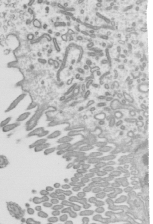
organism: Mouse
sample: Mouse epididymis efferent ductule cilia